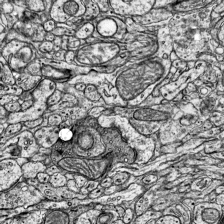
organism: Mouse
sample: Visual Cortex